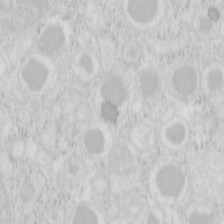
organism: Mouse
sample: Pancreas